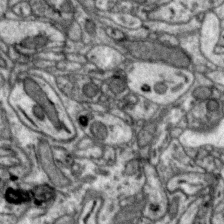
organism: Zebra finch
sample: Brain